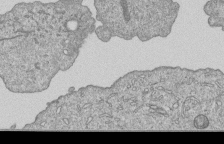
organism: Human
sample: MDA-MB-231 cells